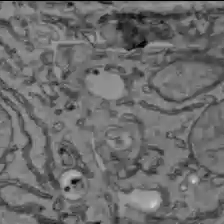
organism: C57BL Mouse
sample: Liver